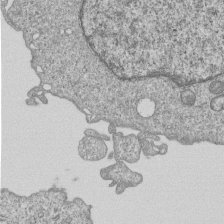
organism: Human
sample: MDA-MB-231 cells